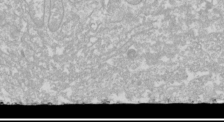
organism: Drosophila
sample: Cell division; meiosis; drosophila spermatocytes